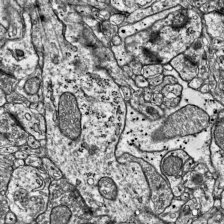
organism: Mouse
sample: Visual Cortex